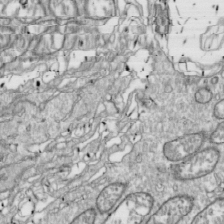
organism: Drosophila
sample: Cell division; meiosis; drosophila spermatocytes